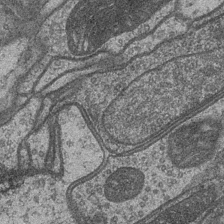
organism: Drosophila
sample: Optic medulla